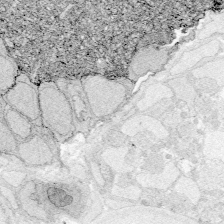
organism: Zebrafish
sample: Whole-Brain